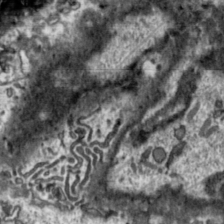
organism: Toxoplasma gondii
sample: Parasites in a vacuole inside a host cell